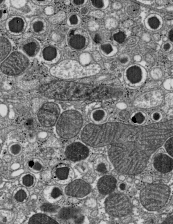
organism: C57BL Mouse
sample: Pancreatic islet